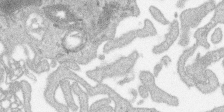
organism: Human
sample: Lung epithelial cells infected with SARS-CoV-2